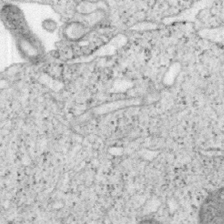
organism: Mouse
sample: OT-I killer T cells with ID8 ovarian cancer cells